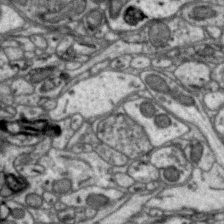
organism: Zebra finch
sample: Brain